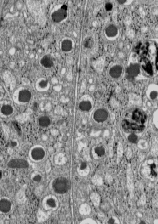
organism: C57BL Mouse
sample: Pancreatic islet